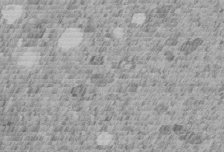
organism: C. elegans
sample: C. elegans embryo early stage